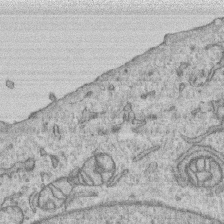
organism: Human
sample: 1205lu cells